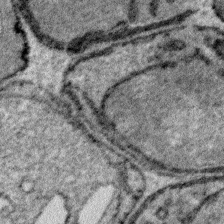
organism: Plasmodium falciparum